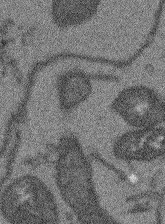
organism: Arabidopsis thaliana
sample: Root tip